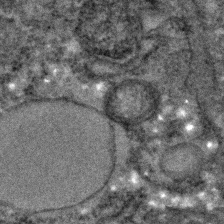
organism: C. elegans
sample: C. elegans embryo